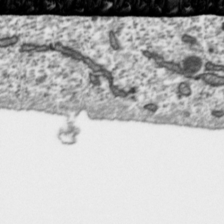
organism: Toxoplasma gondii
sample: Parasites in a vacuole inside a host cell